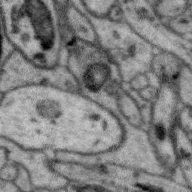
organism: Zebra finch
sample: Brain